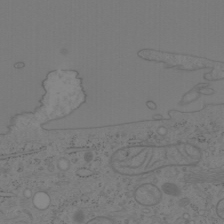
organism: Human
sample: HeLa cells